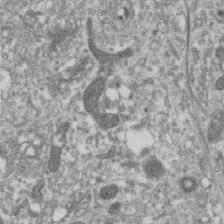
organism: Human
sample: Centriole in RPE cells